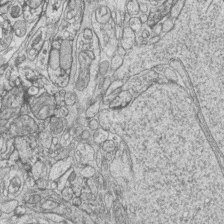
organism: Zebrafish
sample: synaptic ribbons in rod cells and cone cells